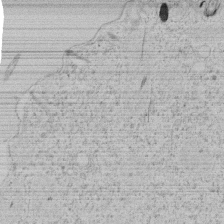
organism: Tetrahymena